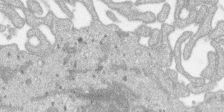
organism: Human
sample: Lung epithelial cells infected with SARS-CoV-2